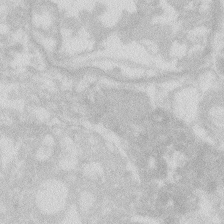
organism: Zebrafish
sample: Macrophage